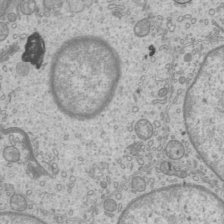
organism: Mouse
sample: Cilia; mouse epididymis